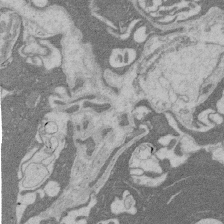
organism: Rat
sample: Salivary granule